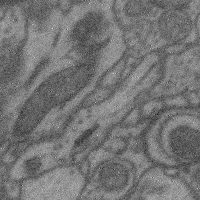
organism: Mouse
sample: Cerebral cortex